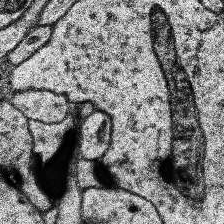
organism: Human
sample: Temporal Lobe